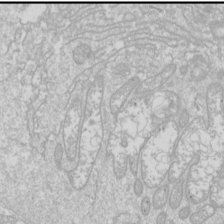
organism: Drosophila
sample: Cell division; meiosis; drosophila spermatocytes